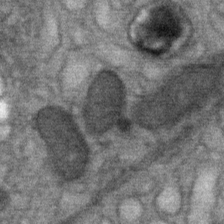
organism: Mouse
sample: Mouse Salivary gland